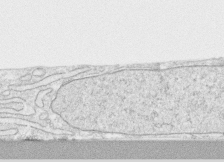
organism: Human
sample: CRL-1474